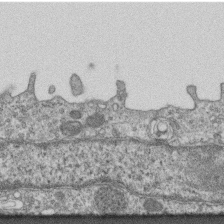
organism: Mouse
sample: Centriole in ependymal cells